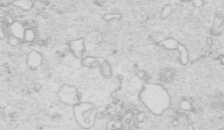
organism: Mouse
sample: Multiciliated cells